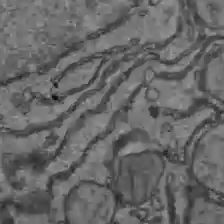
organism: C57BL Mouse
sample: Liver